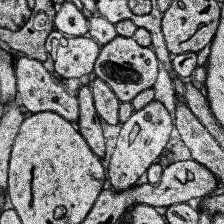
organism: Human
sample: Temporal Lobe